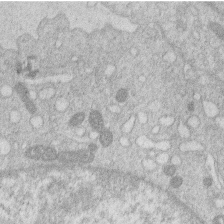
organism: Human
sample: Macrophage cells